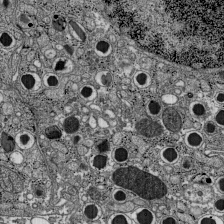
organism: C57BL Mouse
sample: Pancreatic islet